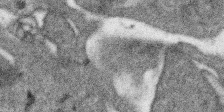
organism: Human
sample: Lung epithelial cells infected with SARS-CoV-2